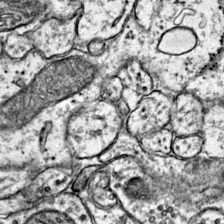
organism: Mouse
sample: Primary visual cortex